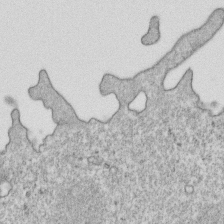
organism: Mouse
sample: Activated OT-1 CD8+ T cells